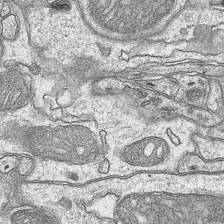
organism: Mouse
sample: CA1 Hippocampus